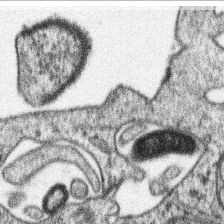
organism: Human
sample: HeLa cells